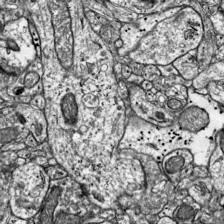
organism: Mouse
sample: Visual Cortex